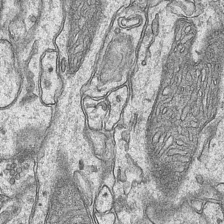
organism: Mouse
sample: CA1 Hippocampus